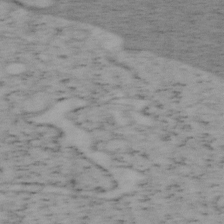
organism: Mouse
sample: OT-I killer T cells with ID8 ovarian cancer cells